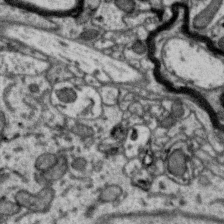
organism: Zebra finch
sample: Brain